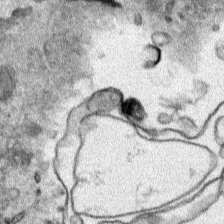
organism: Human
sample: Mitochondria in HCT116 cells